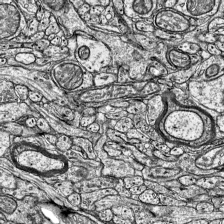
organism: Mouse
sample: Visual Cortex